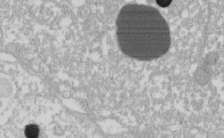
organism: Xenopus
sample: Cilia; centrioles in frog embryo cells